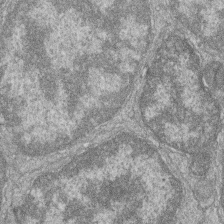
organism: Zebrafish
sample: Cilia; retinal pigment epithelium